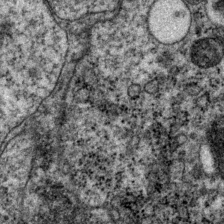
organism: P. pacificus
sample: Pharynx